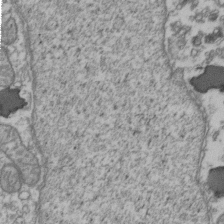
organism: Human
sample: Activated Jurkat CD4+ T cells